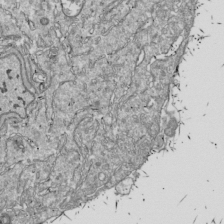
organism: Drosophila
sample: Cell division; meiosis; drosophila spermatocytes